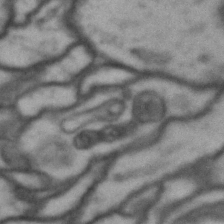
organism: Drosophila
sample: Brain